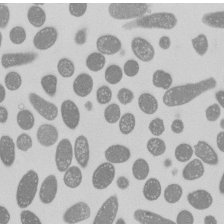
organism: E. coli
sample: Bacterial nucleoid